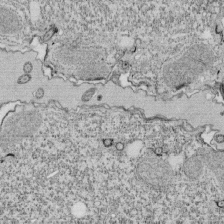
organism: Tetrahymena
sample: Cilia in tetrahymena